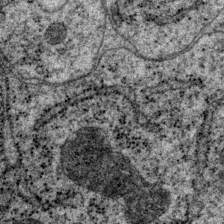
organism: P. pacificus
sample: Pharynx